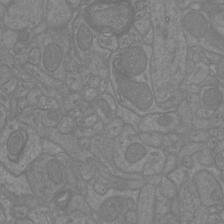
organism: Mouse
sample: Cortical neurons